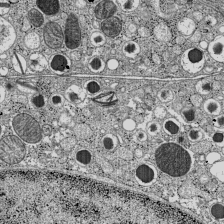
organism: C57BL Mouse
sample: Pancreatic islet